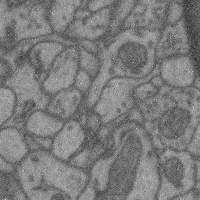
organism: Mouse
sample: Cerebral cortex